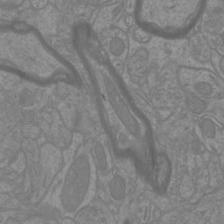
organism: Mouse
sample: Cortical neurons